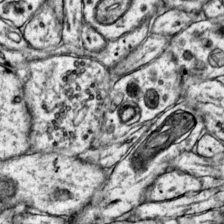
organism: Mouse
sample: Primary visual cortex